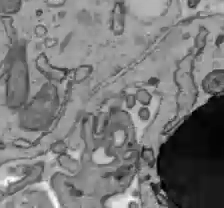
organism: C57BL Mouse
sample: Liver